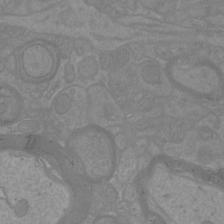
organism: Mouse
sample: Cortical neurons